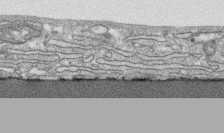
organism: Human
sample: CRL-1474